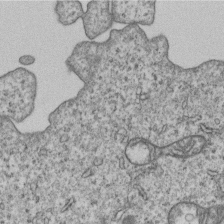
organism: Human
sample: MDA-MB-231 cells